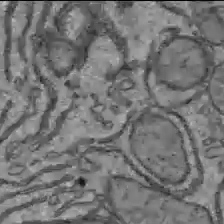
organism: C57BL Mouse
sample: Liver